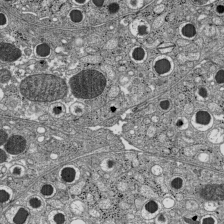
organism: C57BL Mouse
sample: Pancreatic islet